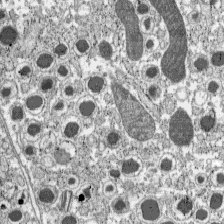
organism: C57BL Mouse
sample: Pancreatic islet